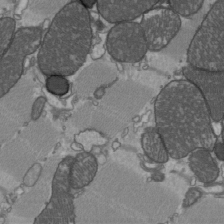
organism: C57BL Mouse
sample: Heart